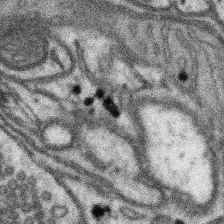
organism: Mouse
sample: Somatosensory cortex neuropil